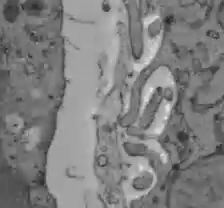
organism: C57BL Mouse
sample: Liver